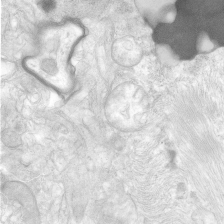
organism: Human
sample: Neocortex